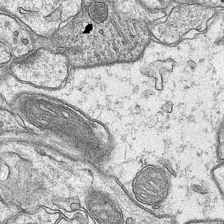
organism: Mouse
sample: CA1 Hippocampus